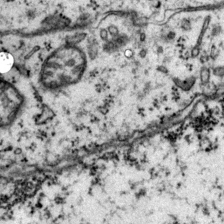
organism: Mouse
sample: Primary visual cortex